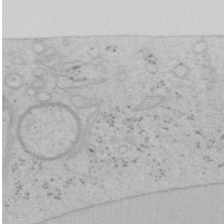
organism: Human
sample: HeLa cells